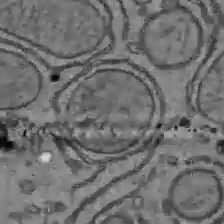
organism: C57BL Mouse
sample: Liver